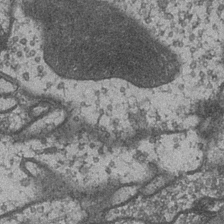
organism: Drosophila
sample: Optic medulla